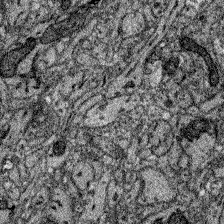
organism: Zebrafish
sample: Larval olfactory bulb